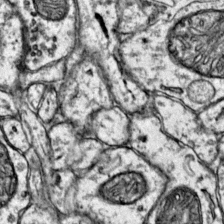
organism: Mouse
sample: Primary visual cortex